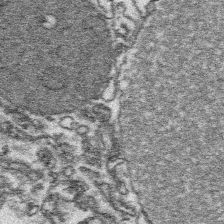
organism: Platynereis dumerilii